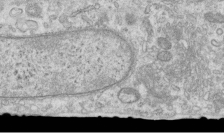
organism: Human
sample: Centriole in RPE cells